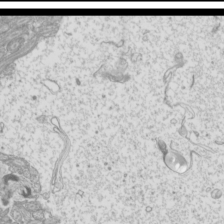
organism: Mouse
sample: Cilia; mouse epididymis